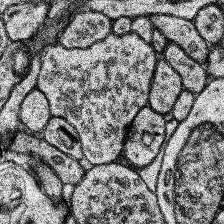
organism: Human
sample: Temporal Lobe